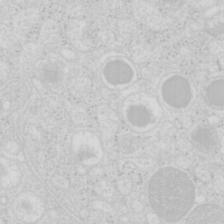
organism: Mouse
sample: Pancreas